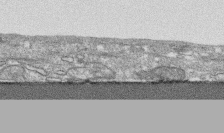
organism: Human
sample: CRL-1474